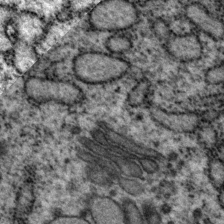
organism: P. pacificus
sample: Pharynx